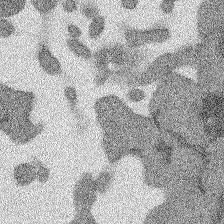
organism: Human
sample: HeLa cells